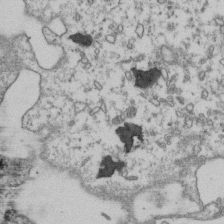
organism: Human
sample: Activated Jurkat CD4+ T cells